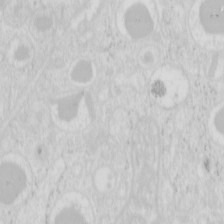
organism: Mouse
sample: Pancreas